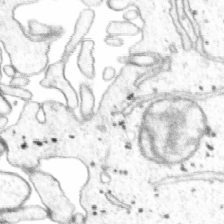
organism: Human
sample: HeLa cells